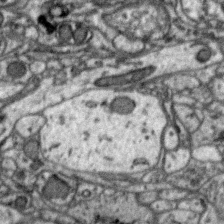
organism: Zebra finch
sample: Brain